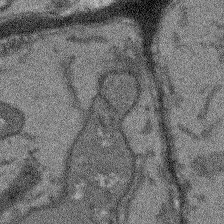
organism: Arabidopsis thaliana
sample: Root tip